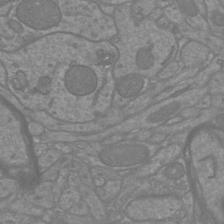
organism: Mouse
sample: Cortical neurons